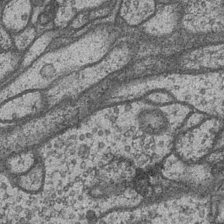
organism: Drosophila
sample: Optic medulla